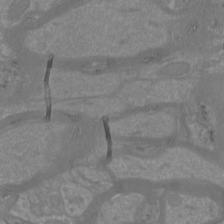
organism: Mouse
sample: Cortical neurons